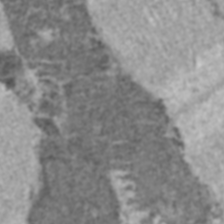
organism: C57BL Mouse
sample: Heart